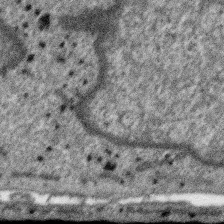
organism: Human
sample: Lung epithelial cells infected with SARS-CoV-2